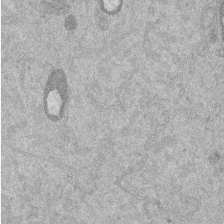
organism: Mouse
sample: Dividing mouse embryo 1 cell stage